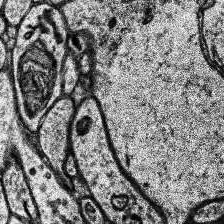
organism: Human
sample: Temporal Lobe